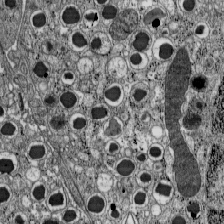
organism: C57BL Mouse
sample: Pancreatic islet